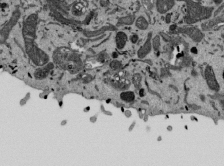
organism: Mouse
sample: ED-1 cell nuclei; centrioles